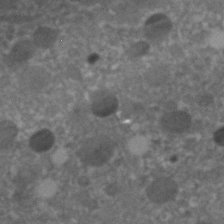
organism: C. elegans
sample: C. elegans embryo